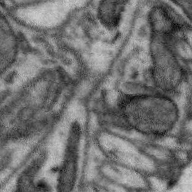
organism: Zebra finch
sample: Brain